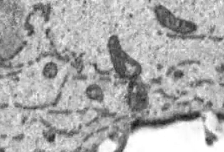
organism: Human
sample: HeLa cells